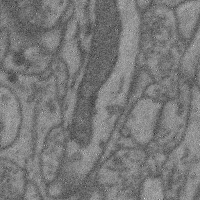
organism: Mouse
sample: Cerebral cortex